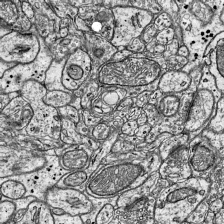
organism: Mouse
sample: Visual Cortex